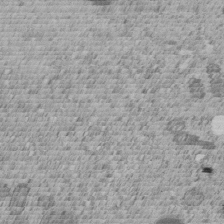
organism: C. elegans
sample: C. elegans embryo early stage